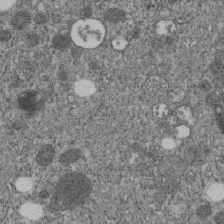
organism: C. elegans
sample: C. elegans embryo early stage